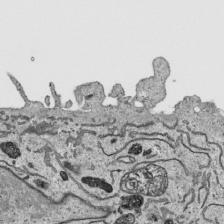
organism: Human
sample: Mitochondria in HCT116 cells